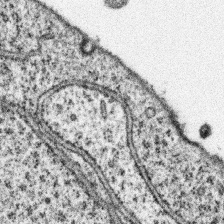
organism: Human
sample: HeLa cells